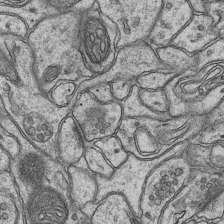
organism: Mouse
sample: CA1 Hippocampus